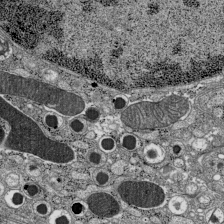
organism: C57BL Mouse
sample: Pancreatic islet